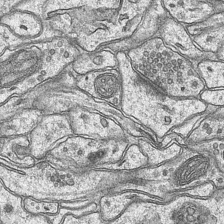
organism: Mouse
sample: CA1 Hippocampus